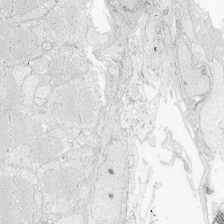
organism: Zebrafish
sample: Whole-Brain